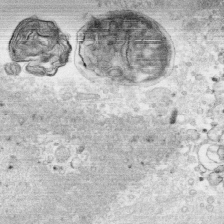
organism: Human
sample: CRL-1474